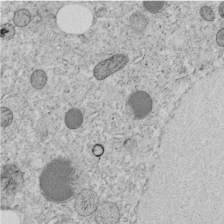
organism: C. elegans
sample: C. elegans embryo early stage